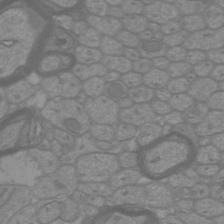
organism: Mouse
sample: Cortical neurons